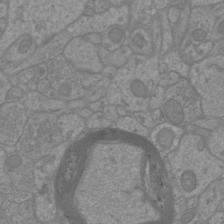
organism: Mouse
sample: Cortical neurons